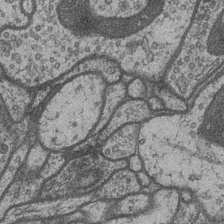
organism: Drosophila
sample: Optic medulla